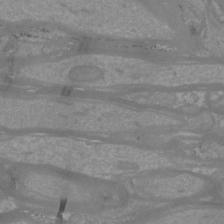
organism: Mouse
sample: Cortical neurons